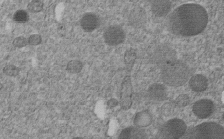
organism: C. elegans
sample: C. elegans embryo early stage